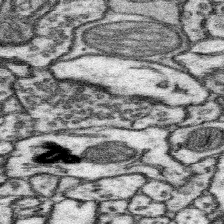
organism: Mouse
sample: Somatosensory cortex neuropil